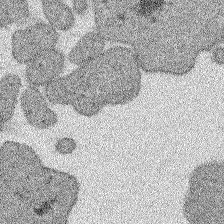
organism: Human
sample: HeLa cells